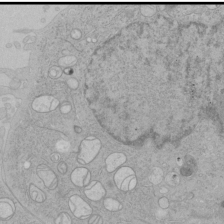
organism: Human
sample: Mitochondria in HCT116 cells